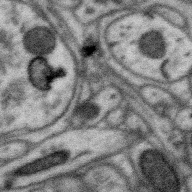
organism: Zebra finch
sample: Brain